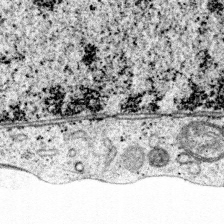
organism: Human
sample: HeLa cells